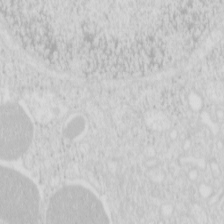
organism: Mouse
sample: Pancreas